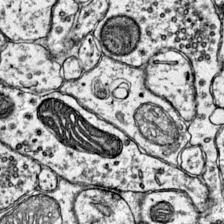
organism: Mouse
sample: Primary visual cortex